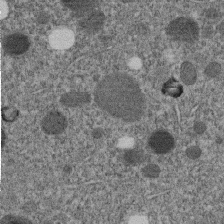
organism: C. elegans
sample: C. elegans embryo early stage